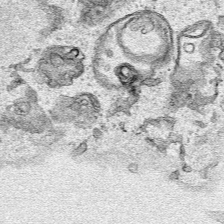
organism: Human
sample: Mitochondria in HCT116 cells